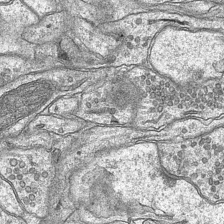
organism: Mouse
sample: CA1 Hippocampus